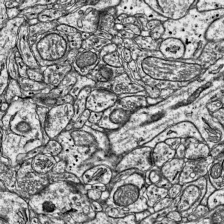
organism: Mouse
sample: Visual Cortex